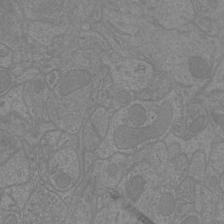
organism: Mouse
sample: Cortical neurons